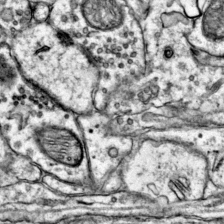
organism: Mouse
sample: Primary visual cortex